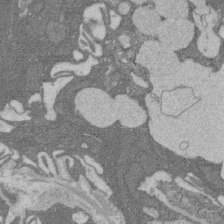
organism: Rat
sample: Salivary granule